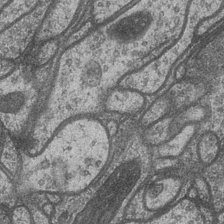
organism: Drosophila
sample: Optic medulla